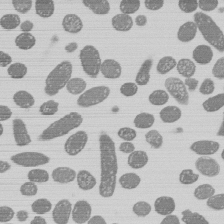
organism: E. coli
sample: Bacterial nucleoid